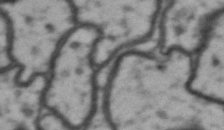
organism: Drosophila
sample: Brain